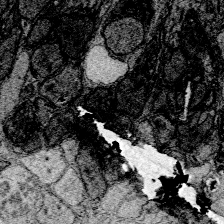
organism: Zebrafish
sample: Whole-Brain